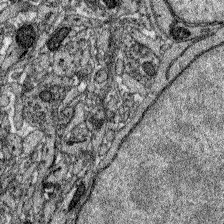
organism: Zebrafish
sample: Larval olfactory bulb